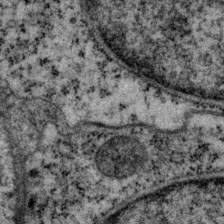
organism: P. pacificus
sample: Pharynx